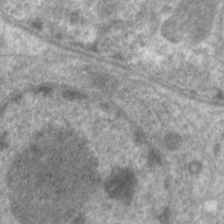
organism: C. elegans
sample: Pharynx